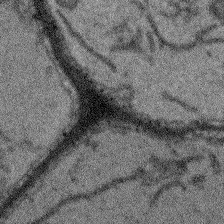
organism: Arabidopsis thaliana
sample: Root tip